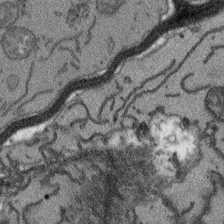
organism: Arabidopsis thaliana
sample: Root tip